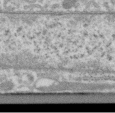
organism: Human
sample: Centriole in RPE cells